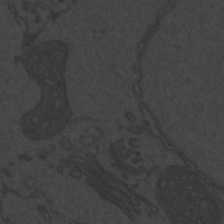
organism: Zebrafish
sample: Macrophage infected with Toxoplasma gondii